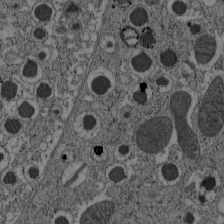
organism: C57BL Mouse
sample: Pancreatic islet